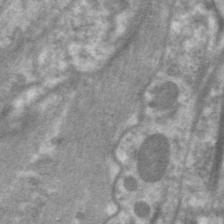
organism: C. elegans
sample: Pharynx